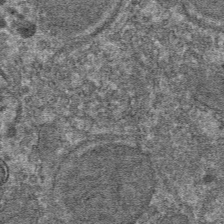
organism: Mouse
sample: Mouse hepatocytes